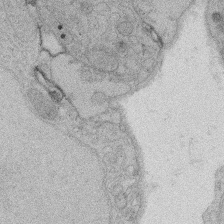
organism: Rat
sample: Salivary granule